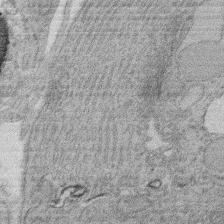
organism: Rat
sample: Salivary granule